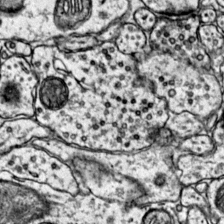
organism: Mouse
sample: Primary visual cortex